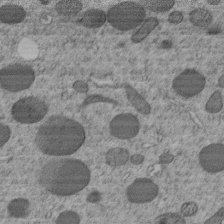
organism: C. elegans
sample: C. elegans embryo early stage